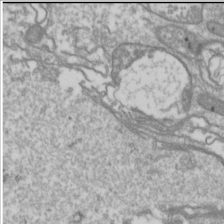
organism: Drosophila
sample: Cell division; meiosis; drosophila spermatocytes